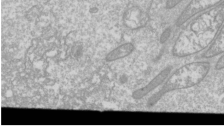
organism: Drosophila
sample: Cell division; meiosis; drosophila spermatocytes